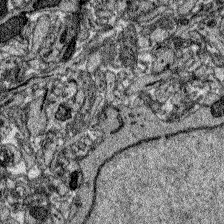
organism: Zebrafish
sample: Larval olfactory bulb